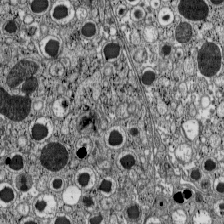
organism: C57BL Mouse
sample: Pancreatic islet